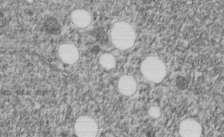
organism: C. elegans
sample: C. elegans embryo early stage